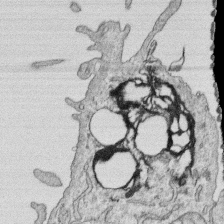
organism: Human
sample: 1205lu cells